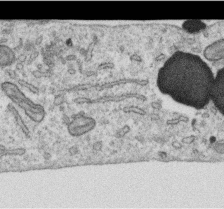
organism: Human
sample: Centriole in RPE cells